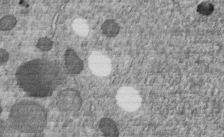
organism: C. elegans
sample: C. elegans embryo early stage